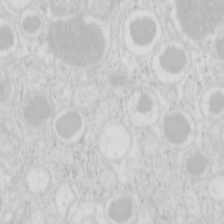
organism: Mouse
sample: Pancreas